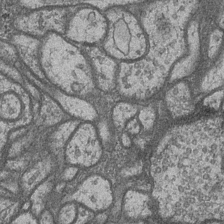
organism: Drosophila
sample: Optic medulla